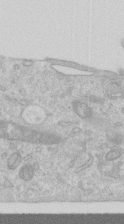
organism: Human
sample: Centriole in RPE cells